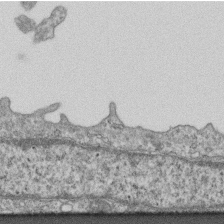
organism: Mouse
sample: Centriole in ependymal cells